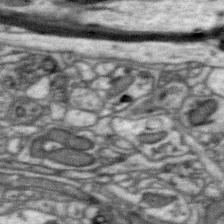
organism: Zebra finch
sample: Brain